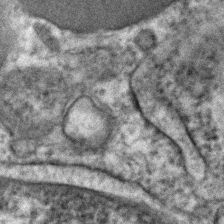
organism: Human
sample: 1205lu cells